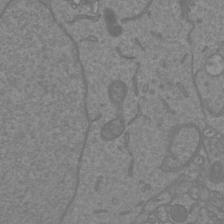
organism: Mouse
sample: Cortical neurons